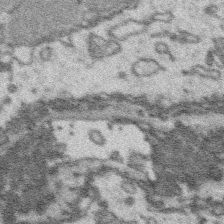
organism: Platynereis dumerilii